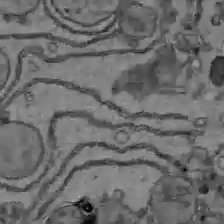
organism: C57BL Mouse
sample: Liver